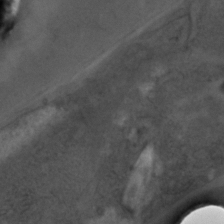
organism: C. elegans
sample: C. elegans embryo